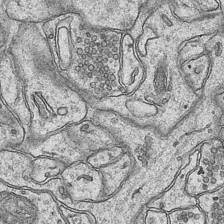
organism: Mouse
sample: CA1 Hippocampus